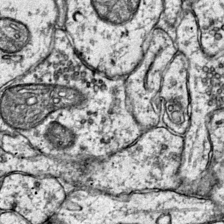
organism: Mouse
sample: Primary visual cortex